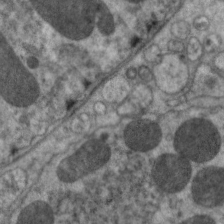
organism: C. elegans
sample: Pharynx